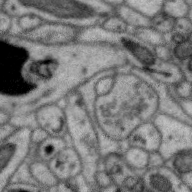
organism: Zebra finch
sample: Brain